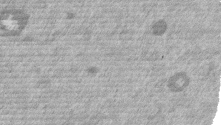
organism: Mouse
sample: Dividing mouse embryo 1 cell stage